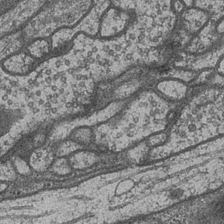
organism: Drosophila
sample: Optic medulla